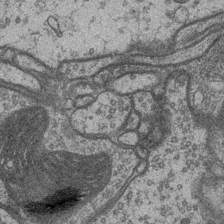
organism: Drosophila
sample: Optic medulla